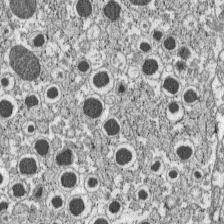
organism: C57BL Mouse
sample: Pancreatic islet